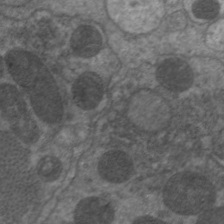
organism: C. elegans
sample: Pharynx